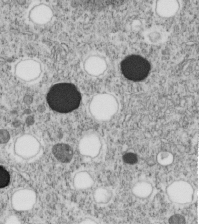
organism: C. elegans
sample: C. elegans embryo early stage